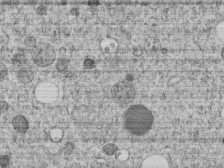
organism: C. elegans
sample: C. elegans embryo early stage